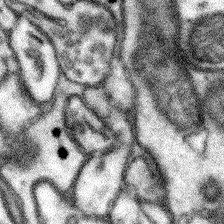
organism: Mouse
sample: Somatosensory cortex neuropil